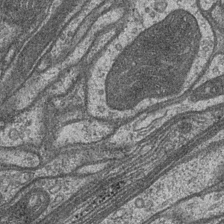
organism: Drosophila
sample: Optic medulla